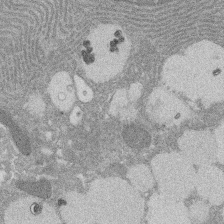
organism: Rat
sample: Salivary granule